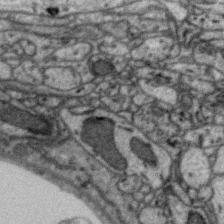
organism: Zebra finch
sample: Brain